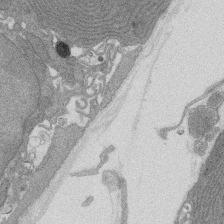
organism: Rat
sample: Salivary granule